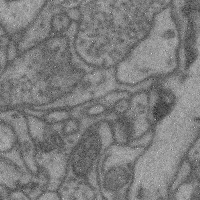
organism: Mouse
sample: Cerebral cortex